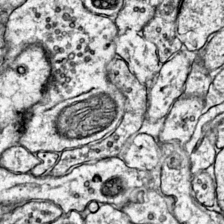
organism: Mouse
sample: Primary visual cortex